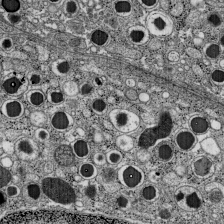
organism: C57BL Mouse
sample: Pancreatic islet